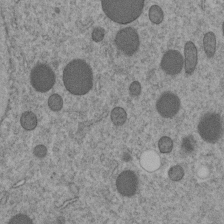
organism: C. elegans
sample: C. elegans embryo early stage